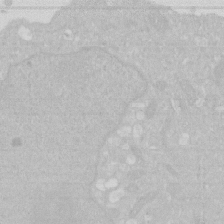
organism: Human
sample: HIV infected U937 cells